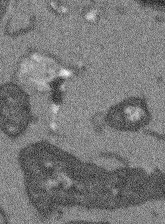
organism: Arabidopsis thaliana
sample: Root tip